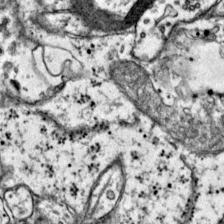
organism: Mouse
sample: Primary visual cortex